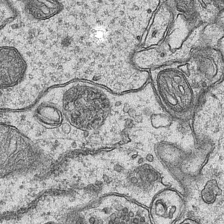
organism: Mouse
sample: CA1 Hippocampus